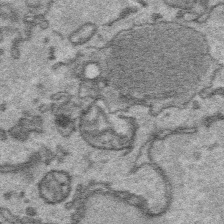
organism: Platynereis dumerilii